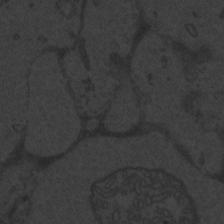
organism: Zebrafish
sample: Macrophage infected with Toxoplasma gondii